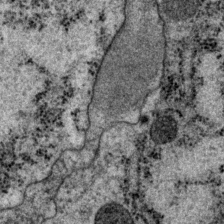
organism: P. pacificus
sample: Pharynx